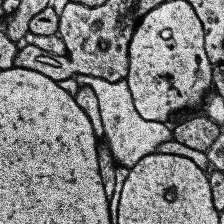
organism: Human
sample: Temporal Lobe